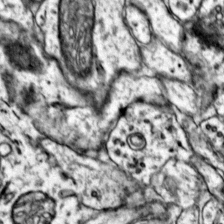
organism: Mouse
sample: Primary visual cortex